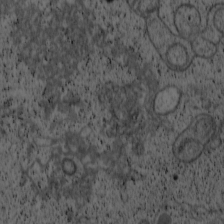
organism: African green monkey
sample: COS-7 cells